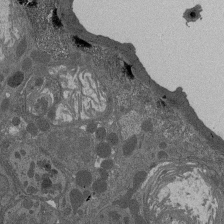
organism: Drosophila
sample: Antenna